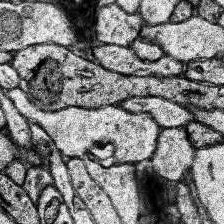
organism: Human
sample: Temporal Lobe